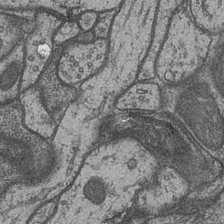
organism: Drosophila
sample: Optic medulla